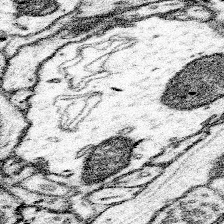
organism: Mouse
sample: Somatosensory cortex neuropil